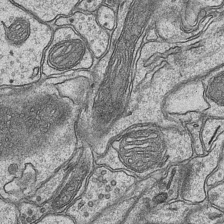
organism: Mouse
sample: CA1 Hippocampus